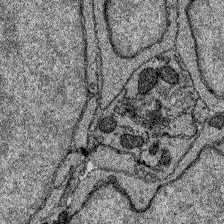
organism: Zebrafish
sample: Larval olfactory bulb